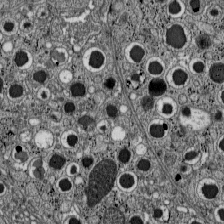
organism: C57BL Mouse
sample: Pancreatic islet